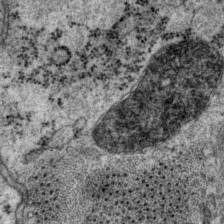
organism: P. pacificus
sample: Pharynx